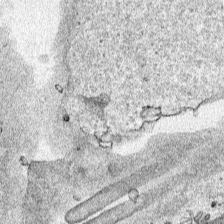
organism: Human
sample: Mitochondria in HCT116 cells